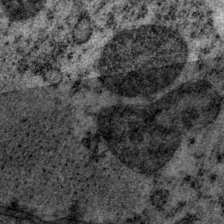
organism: P. pacificus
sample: Pharynx